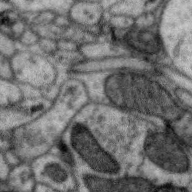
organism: Zebra finch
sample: Brain